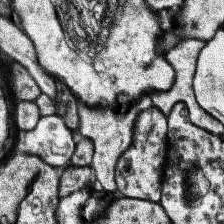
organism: Human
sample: Temporal Lobe